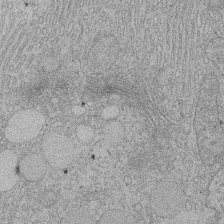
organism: Rat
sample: Salivary granule